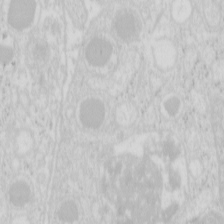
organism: Mouse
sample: Pancreas